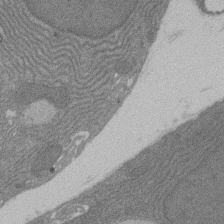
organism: Rat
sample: Salivary granule